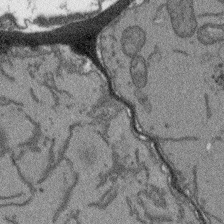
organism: Arabidopsis thaliana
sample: Root tip